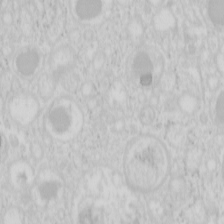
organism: Mouse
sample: Pancreas